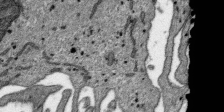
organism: Human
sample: Lung epithelial cells, uninfected (mock) control